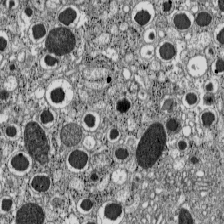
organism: C57BL Mouse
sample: Pancreatic islet